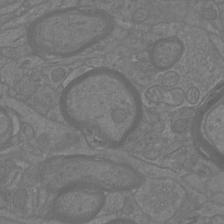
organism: Mouse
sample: Cortical neurons